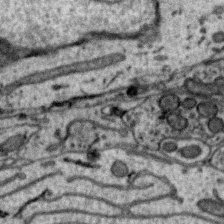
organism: Zebra finch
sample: Brain